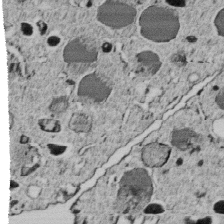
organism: C. elegans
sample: C. elegans embryo early stage